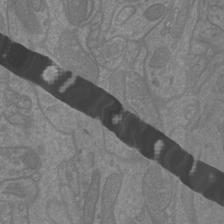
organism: Mouse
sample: Cortical neurons